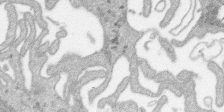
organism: Human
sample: Lung epithelial cells infected with SARS-CoV-2